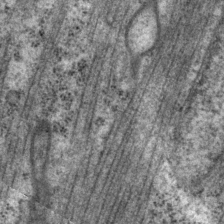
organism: P. pacificus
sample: Pharynx